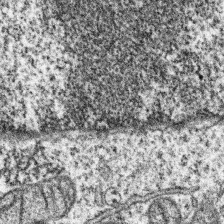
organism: Human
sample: HeLa cells